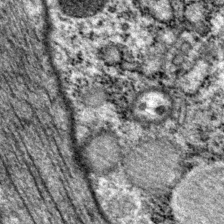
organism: P. pacificus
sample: Pharynx